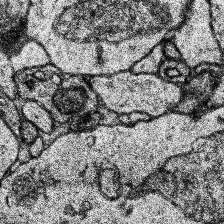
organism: Human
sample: Temporal Lobe